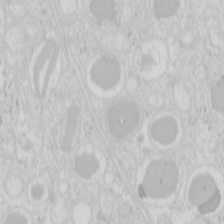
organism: Mouse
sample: Pancreas